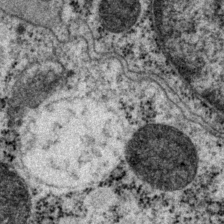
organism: P. pacificus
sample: Pharynx